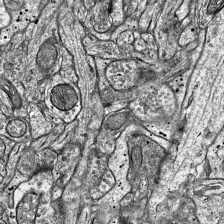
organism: Mouse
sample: Visual Cortex